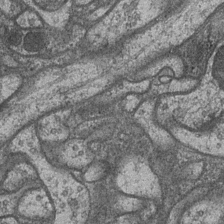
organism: Drosophila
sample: Optic medulla